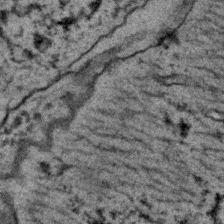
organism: C. elegans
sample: C. elegans embryo